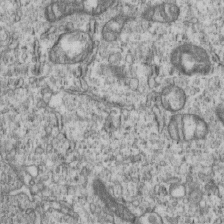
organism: Human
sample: MDA-MB-231 cells